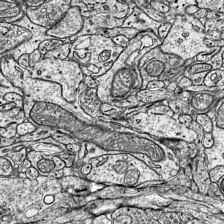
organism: Mouse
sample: Visual Cortex